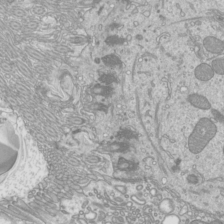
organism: Mouse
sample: Cilia; mouse epididymis